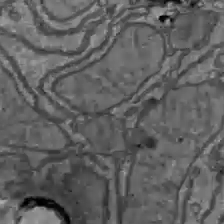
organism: C57BL Mouse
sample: Liver